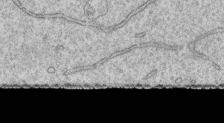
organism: Human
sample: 1205lu cells